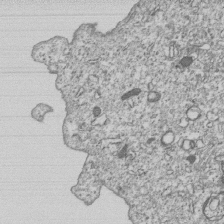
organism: Human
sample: MDA-MB-231 cells